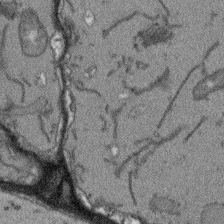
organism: Arabidopsis thaliana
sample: Root tip